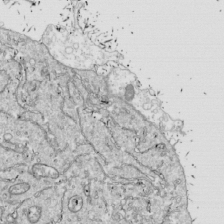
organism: Drosophila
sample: Cell division; meiosis; drosophila spermatocytes